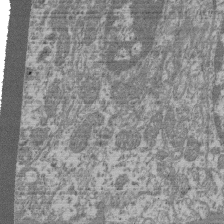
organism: Mouse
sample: Glomerulus